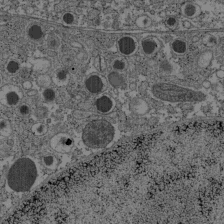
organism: C57BL Mouse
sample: Pancreatic islet